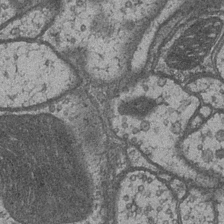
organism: Drosophila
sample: Optic medulla